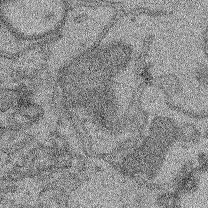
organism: Human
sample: HeLa cells